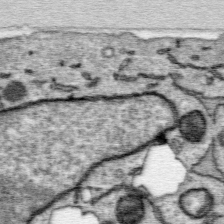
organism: Human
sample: HeLa cells